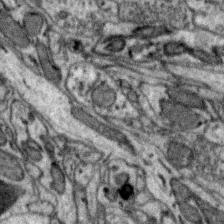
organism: Zebra finch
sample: Brain